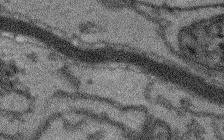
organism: Arabidopsis thaliana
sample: Root tip